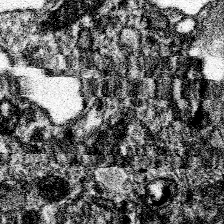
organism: Spongilla lacustris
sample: Neuroid cell